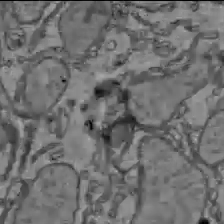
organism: C57BL Mouse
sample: Liver